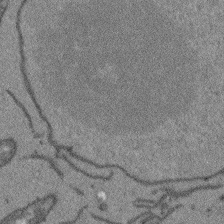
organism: Arabidopsis thaliana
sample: Root tip